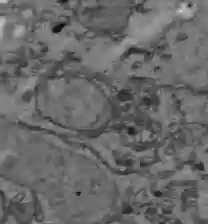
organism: C57BL Mouse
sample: Liver